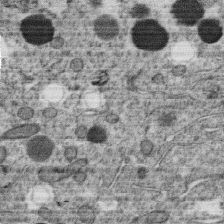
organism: C. elegans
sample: C. elegans oocyte; sperm cells